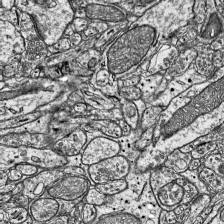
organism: Mouse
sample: Visual Cortex